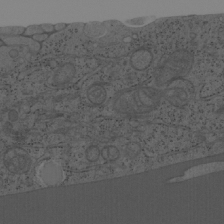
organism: Human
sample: HeLa cells